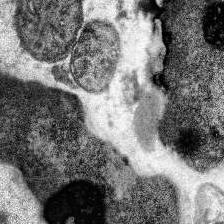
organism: Human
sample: Temporal Lobe